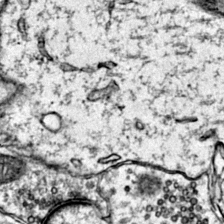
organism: Mouse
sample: Primary visual cortex